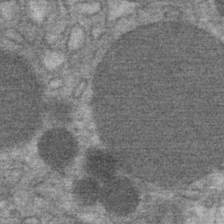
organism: Mouse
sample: Mouse Salivary gland